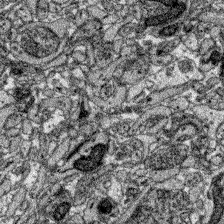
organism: Zebrafish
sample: Larval olfactory bulb